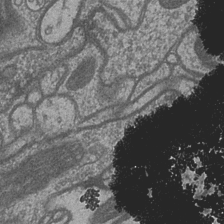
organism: Drosophila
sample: Optic medulla